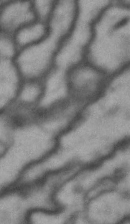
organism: Drosophila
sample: Brain